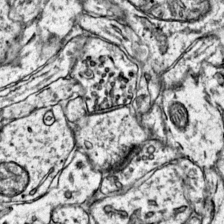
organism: Mouse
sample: Primary visual cortex